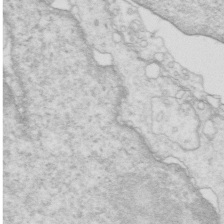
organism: Mouse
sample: Multiciliated cells